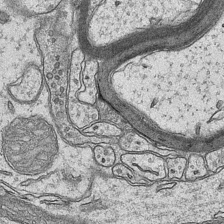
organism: Mouse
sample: CA1 Hippocampus